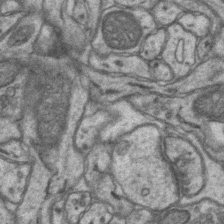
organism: Mouse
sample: CA1 Hippocampus